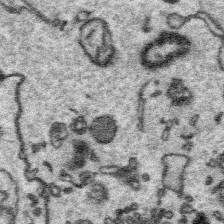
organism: Platynereis dumerilii